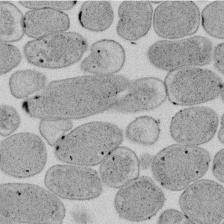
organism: E. coli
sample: Bacterial nucleoid